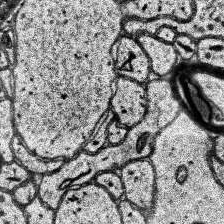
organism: Human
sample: Temporal Lobe